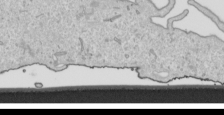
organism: Human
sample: Mitochondria in HCT116 cells